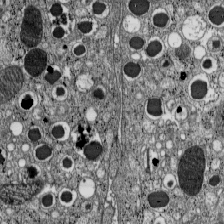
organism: C57BL Mouse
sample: Pancreatic islet